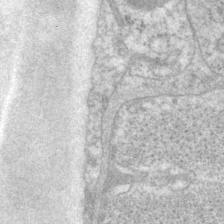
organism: P. pacificus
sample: Pharynx